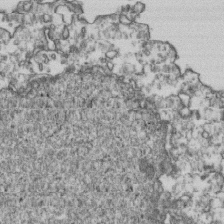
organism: Human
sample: Activated Jurkat CD4+ T cells